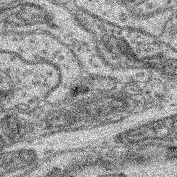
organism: Mouse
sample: Retina